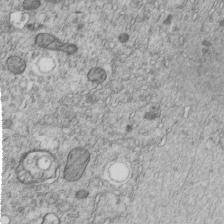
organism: C. elegans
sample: C. elegans embryo early stage